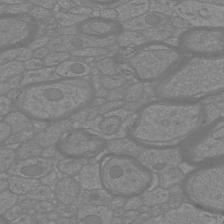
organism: Mouse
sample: Cortical neurons